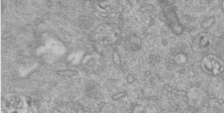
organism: Mouse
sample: ED-1 cell nuclei; centrioles